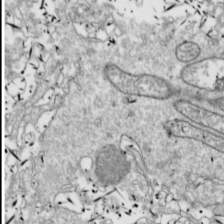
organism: Drosophila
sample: Cell division; meiosis; drosophila spermatocytes